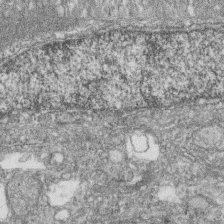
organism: Zebrafish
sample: Cilia; retinal pigment epithelium